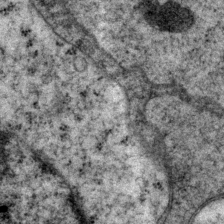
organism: P. pacificus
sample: Pharynx